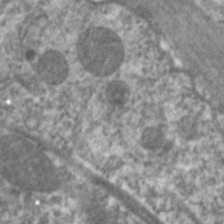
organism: C. elegans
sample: Pharynx